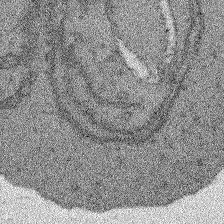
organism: Human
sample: HeLa cells